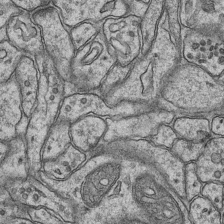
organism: Mouse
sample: CA1 Hippocampus